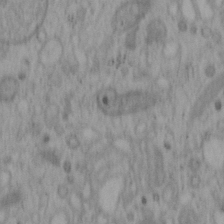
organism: Mouse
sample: OT-I killer T cells with ID8 ovarian cancer cells